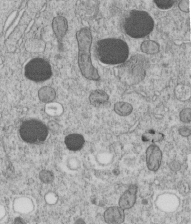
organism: C. elegans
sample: C. elegans embryo early stage